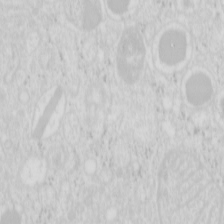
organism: Mouse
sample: Pancreas